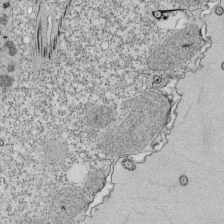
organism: Tetrahymena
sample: Cilia in tetrahymena